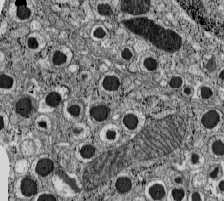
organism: C57BL Mouse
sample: Pancreatic islet